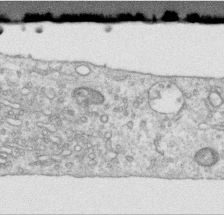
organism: Human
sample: Centriole in RPE cells